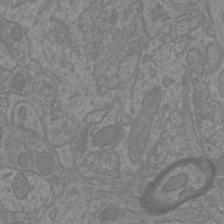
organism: Mouse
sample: Cortical neurons